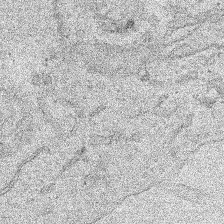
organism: Human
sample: Mitochondria in HCT116 cells